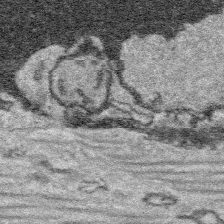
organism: Platynereis dumerilii